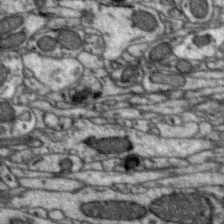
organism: Zebra finch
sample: Brain